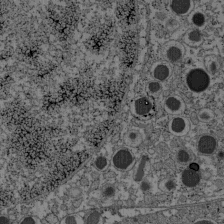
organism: C57BL Mouse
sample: Pancreatic islet